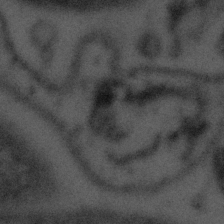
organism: Tuwongella immobilis